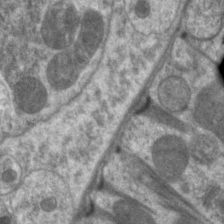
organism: C. elegans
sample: Pharynx